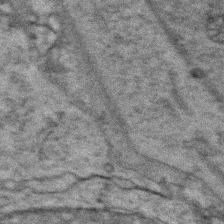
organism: Zebrafish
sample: Zebrafish embryo